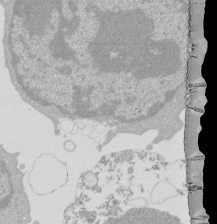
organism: Mouse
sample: Activated Pmel transgenic CD8+ T Cells